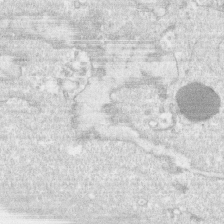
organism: Human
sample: CRL-1474